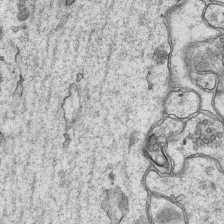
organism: Mouse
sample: CA1 Hippocampus